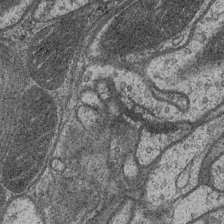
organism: Drosophila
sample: Optic medulla